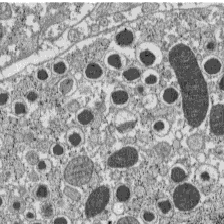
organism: C57BL Mouse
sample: Pancreatic islet